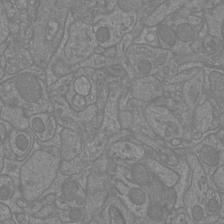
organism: Mouse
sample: Cortical neurons